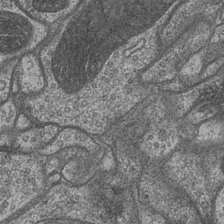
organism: Drosophila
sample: Optic medulla